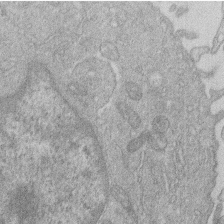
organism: Human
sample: Macrophage cells